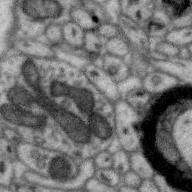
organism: Zebra finch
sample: Brain